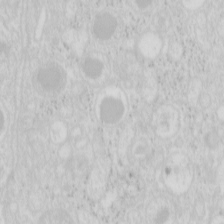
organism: Mouse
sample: Pancreas